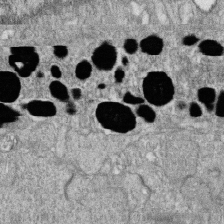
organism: Zebrafish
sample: Cilia; retinal pigment epithelium